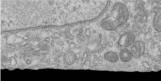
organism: Human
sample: Centriole in RPE cells